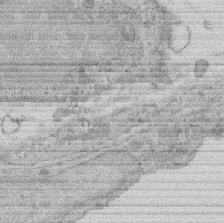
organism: Rat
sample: Salivary granule